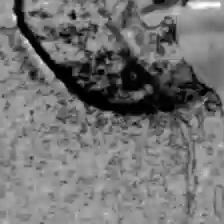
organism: C57BL Mouse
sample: Liver